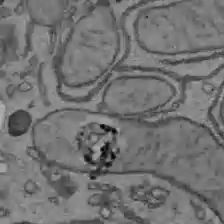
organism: C57BL Mouse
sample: Liver